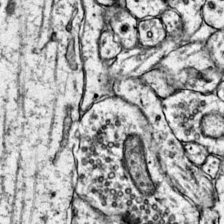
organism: Mouse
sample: Primary visual cortex